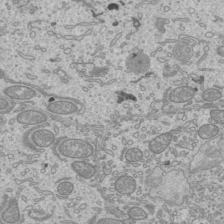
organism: Mouse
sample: Cilia; mouse epididymis